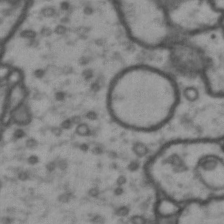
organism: Drosophila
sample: Brain